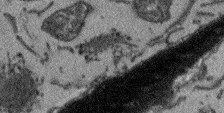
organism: Arabidopsis thaliana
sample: Root tip